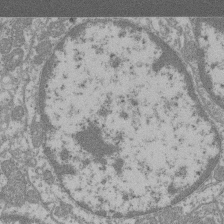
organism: Mouse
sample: Glomerulus